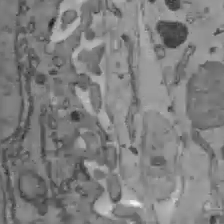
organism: C57BL Mouse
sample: Liver